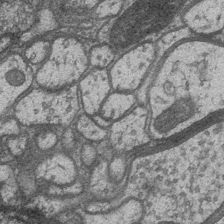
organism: Drosophila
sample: Optic medulla